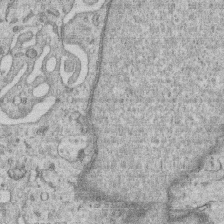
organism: Human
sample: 1205lu cells